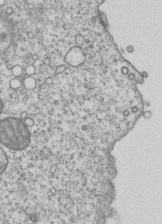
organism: Human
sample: MDA-MB-231 cells